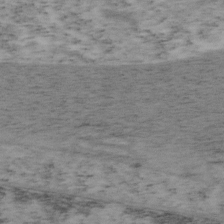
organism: Mouse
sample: OT-I killer T cells with ID8 ovarian cancer cells